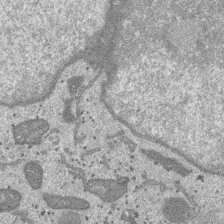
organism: Human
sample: Lung epithelial cells infected with SARS-CoV-2